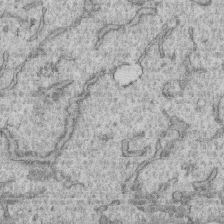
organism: Human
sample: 1205lu cells